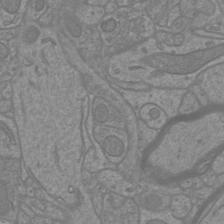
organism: Mouse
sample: Cortical neurons